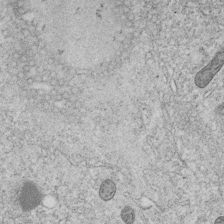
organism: C. elegans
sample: C. elegans embryo early stage